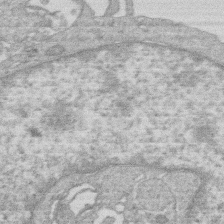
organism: Human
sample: Macrophage cells